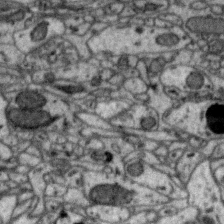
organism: Zebra finch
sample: Brain